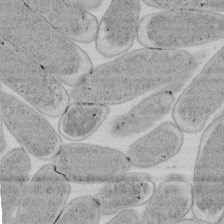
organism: E. coli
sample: Bacterial nucleoid